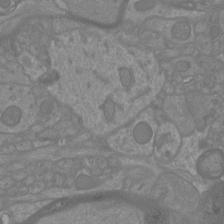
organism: Mouse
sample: Cortical neurons